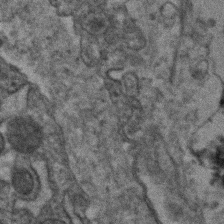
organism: Human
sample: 1205lu cells